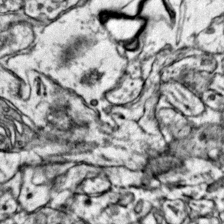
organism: Mouse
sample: Primary visual cortex